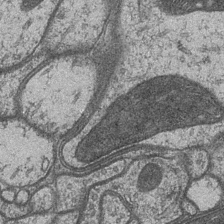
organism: Drosophila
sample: Optic medulla